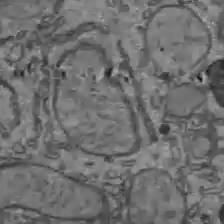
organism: C57BL Mouse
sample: Liver